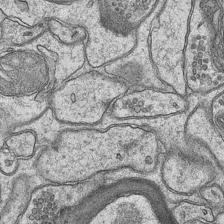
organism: Mouse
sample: CA1 Hippocampus